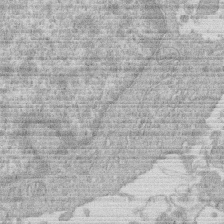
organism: Human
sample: Macrophage cells